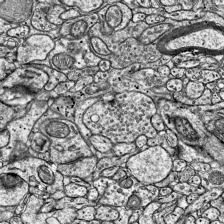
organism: Mouse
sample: Visual Cortex